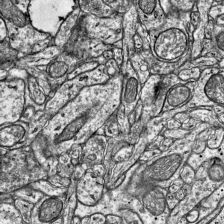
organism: Mouse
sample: Visual Cortex